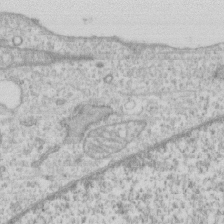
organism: Human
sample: CRL-1474